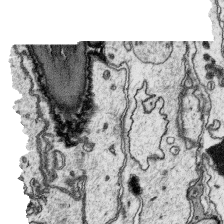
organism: Platynereis dumerilii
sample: Parapodia